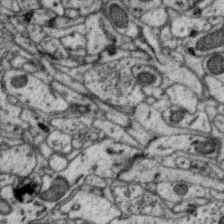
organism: Zebra finch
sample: Brain